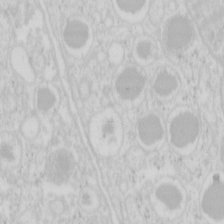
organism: Mouse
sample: Pancreas